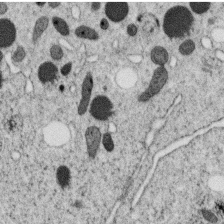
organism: C. elegans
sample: C. elegans oocyte; sperm cells